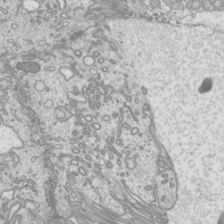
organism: Mouse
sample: Cilia; mouse epididymis